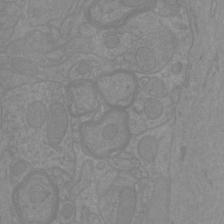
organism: Mouse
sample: Cortical neurons